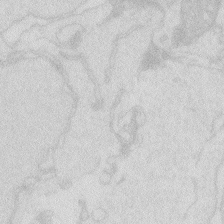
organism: Zebrafish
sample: Macrophage